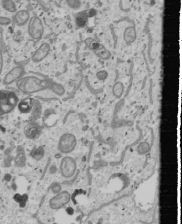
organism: Human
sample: Mitochondria in U2OS cells